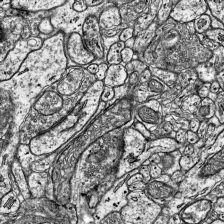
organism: Mouse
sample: Visual Cortex